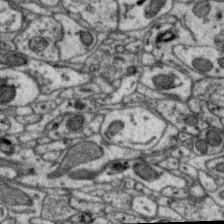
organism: Zebra finch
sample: Brain